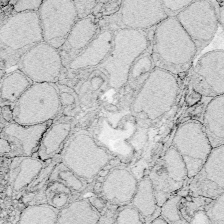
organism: Zebrafish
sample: Whole-Brain